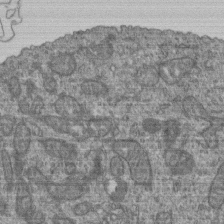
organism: Human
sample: Retinal organoid Rod and Cone cells